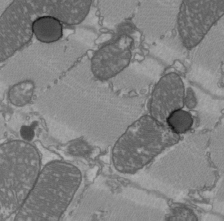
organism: C57BL Mouse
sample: Heart